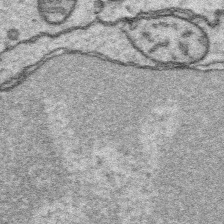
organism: Platynereis dumerilii